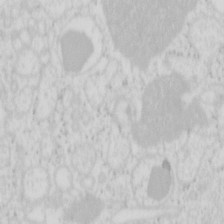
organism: Mouse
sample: Pancreas